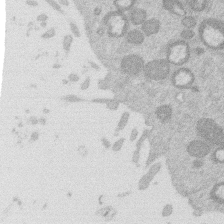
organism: Mouse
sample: Dividing mouse embryo 1 cell stage